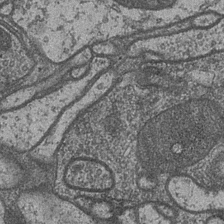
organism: Drosophila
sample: Optic medulla